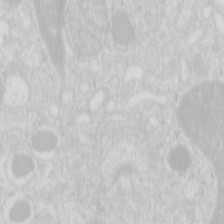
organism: Mouse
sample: Pancreas